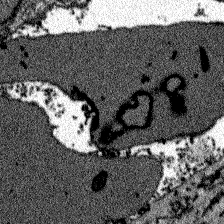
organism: Zebrafish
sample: Larval olfactory bulb